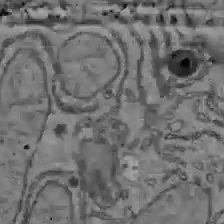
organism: C57BL Mouse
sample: Liver